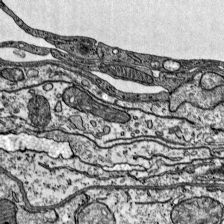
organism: Mouse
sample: Visual Cortex